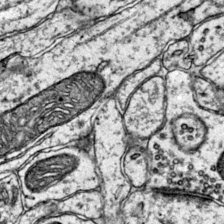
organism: Mouse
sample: Primary visual cortex